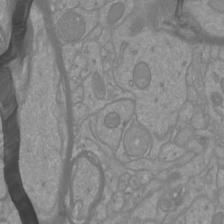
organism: Mouse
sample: Cortical neurons